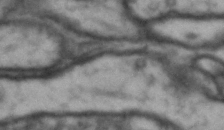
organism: Drosophila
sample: Brain